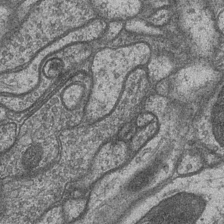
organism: Drosophila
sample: Optic medulla